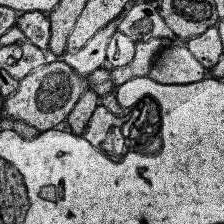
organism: Human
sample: Temporal Lobe